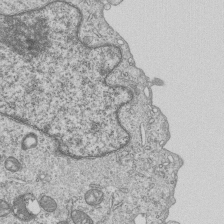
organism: Human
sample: MDA-MB-231 cells